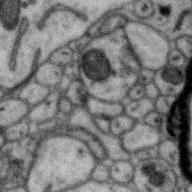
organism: Zebra finch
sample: Brain